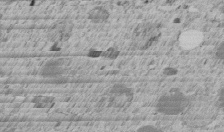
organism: C. elegans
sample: C. elegans embryo early stage